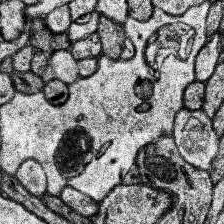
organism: Human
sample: Temporal Lobe